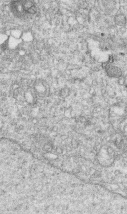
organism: Human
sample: HeLa cell HIV synapse